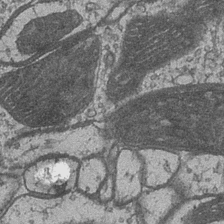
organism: Drosophila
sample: Optic medulla